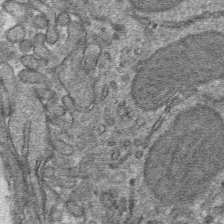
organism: Mouse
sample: Mouse hepatocytes